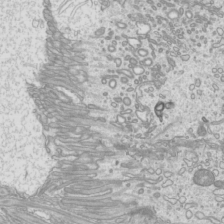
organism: Mouse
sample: Cilia; mouse epididymis